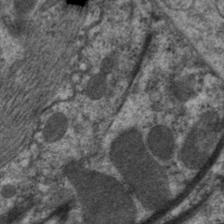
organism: C. elegans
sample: Pharynx